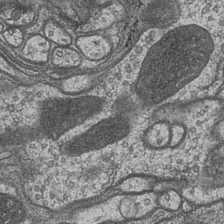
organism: Drosophila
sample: Optic medulla